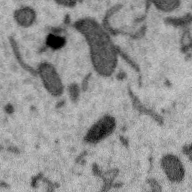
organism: Zebra finch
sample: Brain